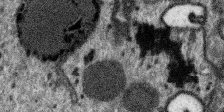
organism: Human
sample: Lung epithelial cells infected with SARS-CoV-2